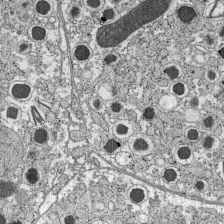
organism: C57BL Mouse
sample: Pancreatic islet